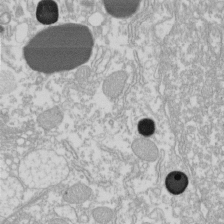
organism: Xenopus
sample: Cilia; centrioles in frog embryo cells